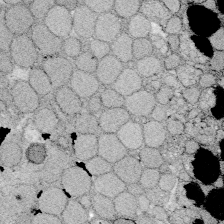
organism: Zebrafish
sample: Whole-Brain